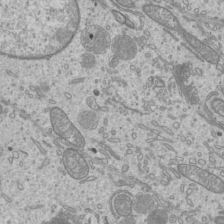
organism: Mouse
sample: Cilia; mouse epididymis